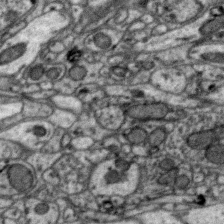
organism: Zebra finch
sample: Brain